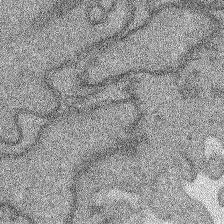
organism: Human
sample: HeLa cells